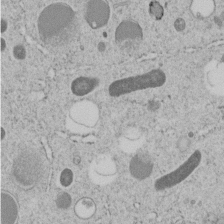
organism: C. elegans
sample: C. elegans embryo early stage